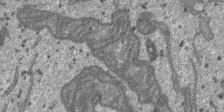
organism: Human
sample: Lung epithelial cells infected with SARS-CoV-2